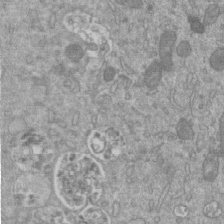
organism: Mouse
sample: ED-1 cell nuclei; centrioles